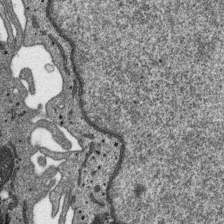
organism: Human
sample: Lung epithelial cells infected with SARS-CoV-2